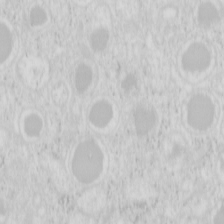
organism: Mouse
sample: Pancreas